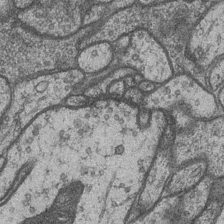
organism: Drosophila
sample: Optic medulla